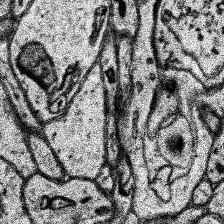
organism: Human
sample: Temporal Lobe